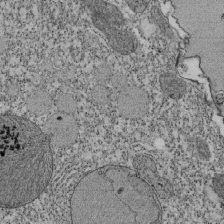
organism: Tetrahymena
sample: Cilia in tetrahymena